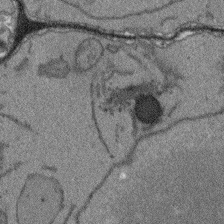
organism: Arabidopsis thaliana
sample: Root tip